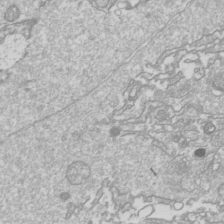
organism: Drosophila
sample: Cell division; meiosis; drosophila spermatocytes